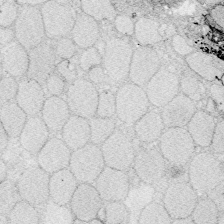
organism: Zebrafish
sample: Whole-Brain